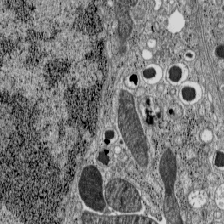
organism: C57BL Mouse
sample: Pancreatic islet